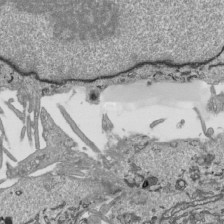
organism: Human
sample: Mitochondria in HCT116 cells